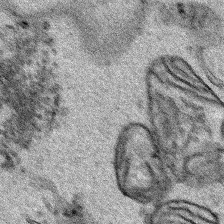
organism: Human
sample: Mitochondria in HCT116 cells